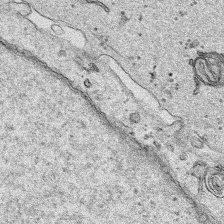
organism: Human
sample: Mitochondria in HCT116 cells